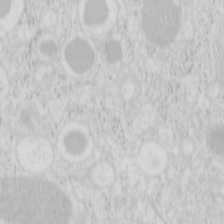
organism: Mouse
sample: Pancreas